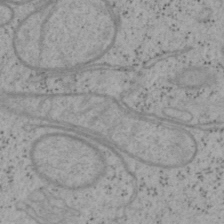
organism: Human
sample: HeLa cells